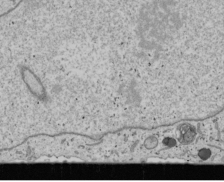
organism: Human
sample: Mitochondria in U2OS cells